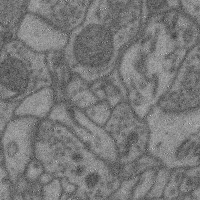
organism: Mouse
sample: Cerebral cortex